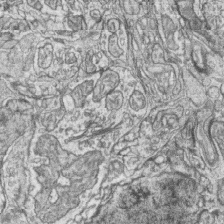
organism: Zebrafish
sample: synaptic ribbons in rod cells and cone cells